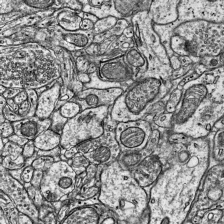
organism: Mouse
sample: Visual Cortex